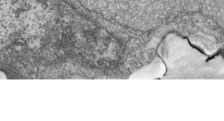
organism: Zebrafish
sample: Cilia; retinal pigment epithelium